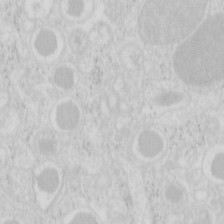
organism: Mouse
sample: Pancreas